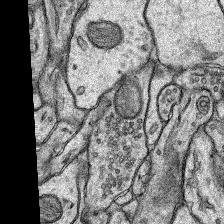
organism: Rat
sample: Hippocampus